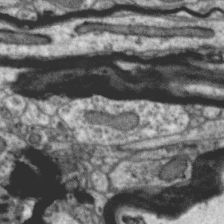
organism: Zebra finch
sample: Brain